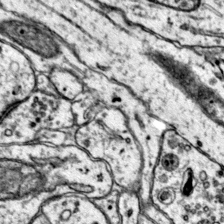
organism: Mouse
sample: Primary visual cortex